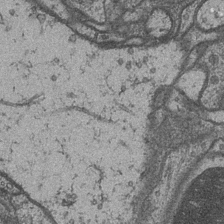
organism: Drosophila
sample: Optic medulla